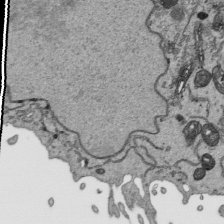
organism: Human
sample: Mitochondria in HCT116 cells